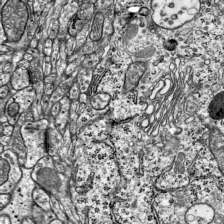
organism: Mouse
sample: Visual Cortex